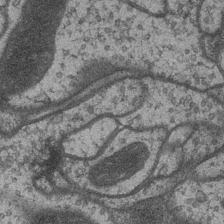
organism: Drosophila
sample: Optic medulla